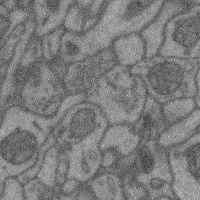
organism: Mouse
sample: Cerebral cortex